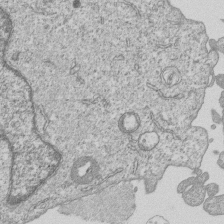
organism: Human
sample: MDA-MB-231 cells